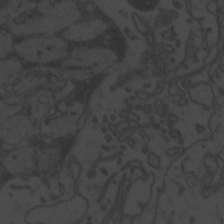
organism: Zebrafish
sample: Macrophage infected with Toxoplasma gondii